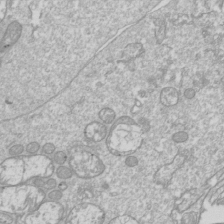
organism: Drosophila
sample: Cell division; meiosis; drosophila spermatocytes